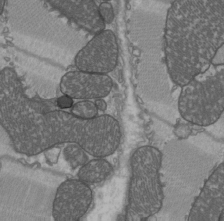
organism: C57BL Mouse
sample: Heart